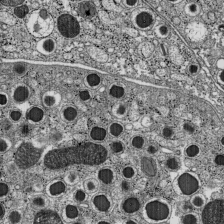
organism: C57BL Mouse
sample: Pancreatic islet